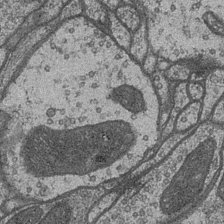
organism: Drosophila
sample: Optic medulla